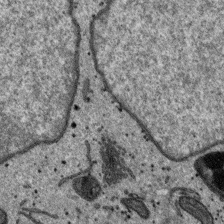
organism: Human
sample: Lung epithelial cells, uninfected (mock) control